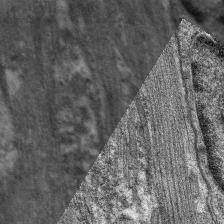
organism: C. elegans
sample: Pharynx